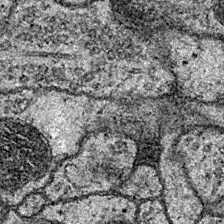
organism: Drosophila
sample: Ventral Nerve Cord